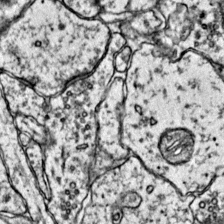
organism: Mouse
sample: Primary visual cortex